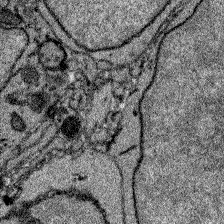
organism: Zebrafish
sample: Larval olfactory bulb